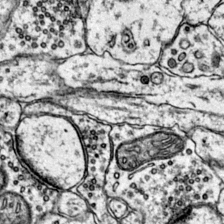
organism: Mouse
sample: Primary visual cortex